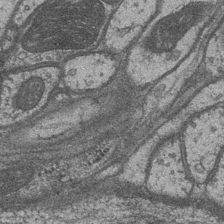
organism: Drosophila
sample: Optic medulla